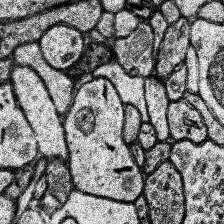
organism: Human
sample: Temporal Lobe